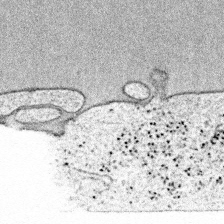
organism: Human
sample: HeLa cells